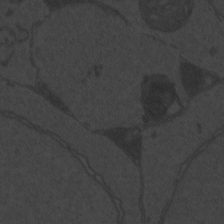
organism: Zebrafish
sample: Macrophage infected with Toxoplasma gondii